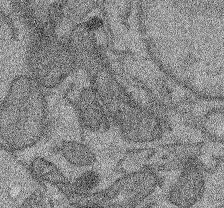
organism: Human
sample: HeLa cells